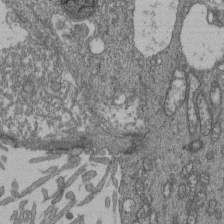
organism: Human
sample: Retinal organoid Rod and Cone cells